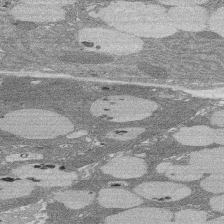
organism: Rat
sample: Salivary granule